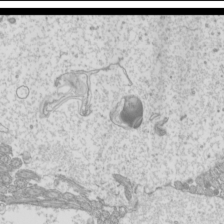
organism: Mouse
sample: Cilia; mouse epididymis